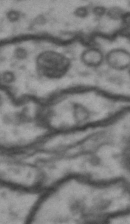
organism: Drosophila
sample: Brain